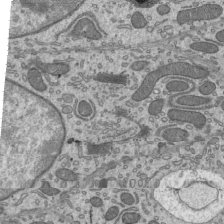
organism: Mouse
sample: Mouse epididymis efferent ductule cilia